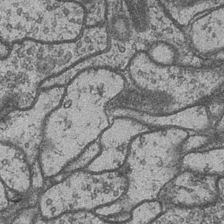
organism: Drosophila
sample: Optic medulla